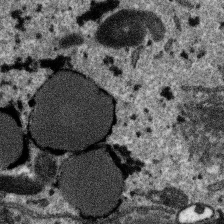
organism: Human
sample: Lung epithelial cells infected with SARS-CoV-2